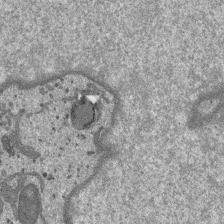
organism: Human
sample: Lung epithelial cells infected with SARS-CoV-2